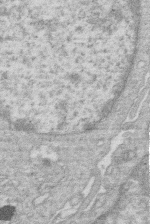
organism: Human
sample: Macrophage cells